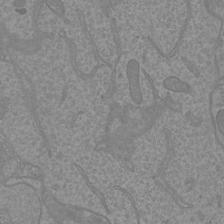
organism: Mouse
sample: Cortical neurons